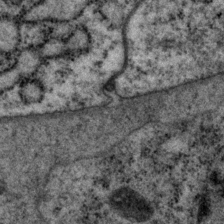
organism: P. pacificus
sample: Pharynx